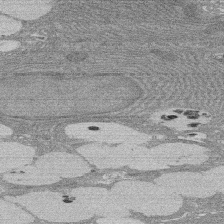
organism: Rat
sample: Salivary granule